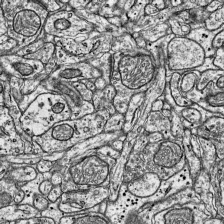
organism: Mouse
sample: Visual Cortex